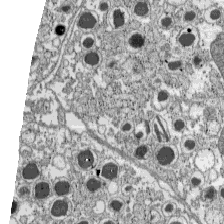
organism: C57BL Mouse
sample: Pancreatic islet